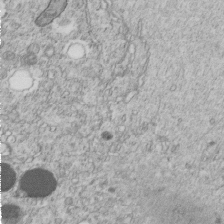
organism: C. elegans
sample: C. elegans embryo early stage